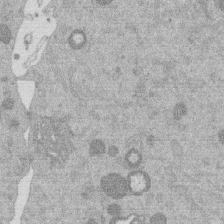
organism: Mouse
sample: Dividing mouse embryo 1 cell stage